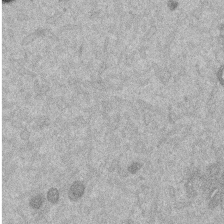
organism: Mouse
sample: Dividing mouse embryo 1 cell stage